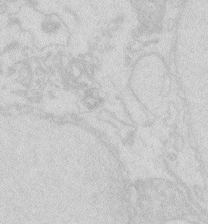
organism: Zebrafish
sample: Macrophage